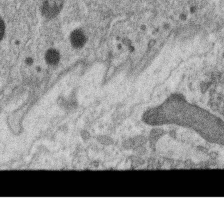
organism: C. elegans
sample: C. elegans oocyte; sperm cells